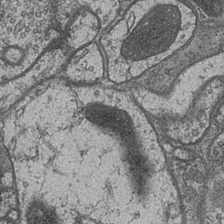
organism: Drosophila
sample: Optic medulla